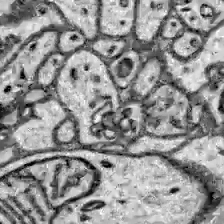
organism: Zebrafish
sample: Brain